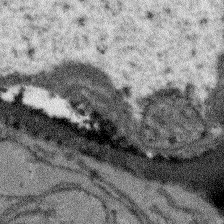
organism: Arabidopsis thaliana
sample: Root tip